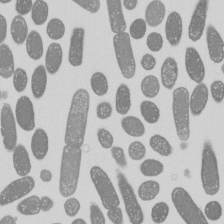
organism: E. coli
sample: Bacterial nucleoid